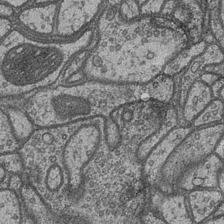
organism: Drosophila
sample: Optic medulla